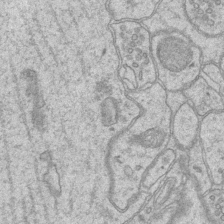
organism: Mouse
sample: CA1 Hippocampus